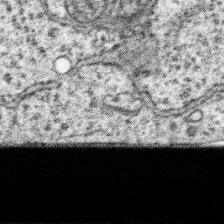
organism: Human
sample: HeLa cells